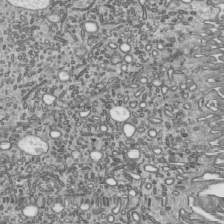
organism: Mouse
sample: Mouse epididymis efferent ductule cilia